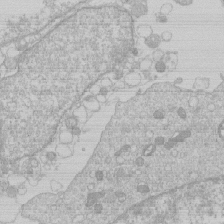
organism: Human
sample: Macrophage cells